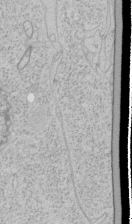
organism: Human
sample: Mitochondria in HCT116 cells